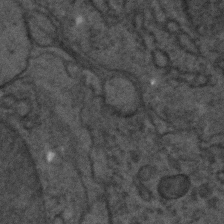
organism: C. elegans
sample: C. elegans embryo